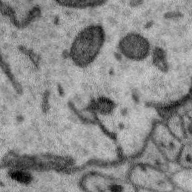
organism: Zebra finch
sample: Brain